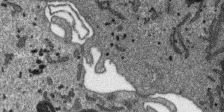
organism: Human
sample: Lung epithelial cells infected with SARS-CoV-2